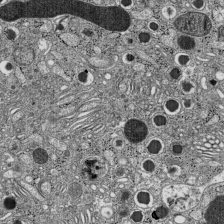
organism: C57BL Mouse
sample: Pancreatic islet